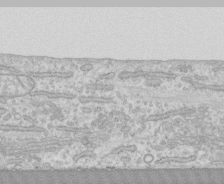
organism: Human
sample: CRL-1474